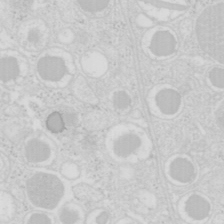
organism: Mouse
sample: Pancreas